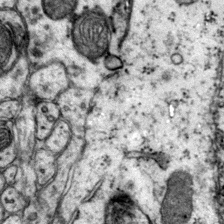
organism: Mouse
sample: Primary visual cortex